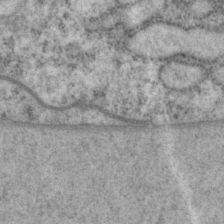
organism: P. pacificus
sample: Pharynx